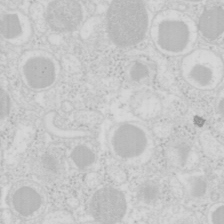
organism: Mouse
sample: Pancreas